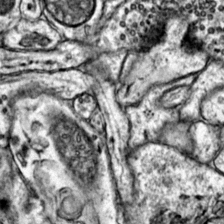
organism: Mouse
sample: Primary visual cortex